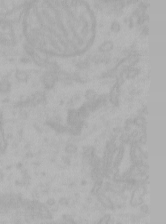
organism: Mouse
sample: Choroid plexus